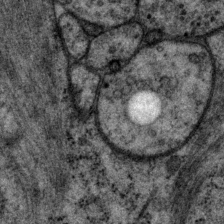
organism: P. pacificus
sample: Pharynx